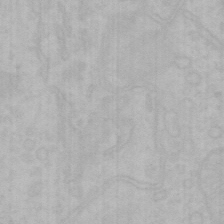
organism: Mouse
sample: Choroid plexus